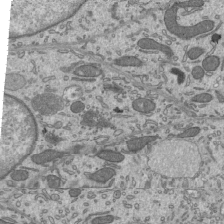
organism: Mouse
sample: Mouse epididymis efferent ductule cilia